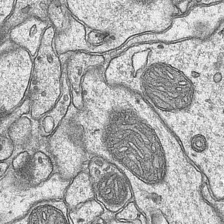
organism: Mouse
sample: CA1 Hippocampus